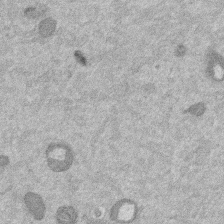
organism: Mouse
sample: Dividing mouse embryo 1 cell stage